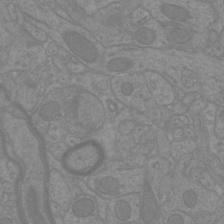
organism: Mouse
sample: Cortical neurons